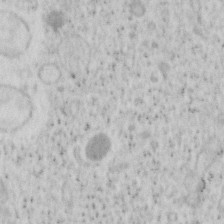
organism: Human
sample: HeLa cells